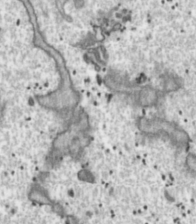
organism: Toxoplasma gondii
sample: Parasites in a vacuole inside a host cell